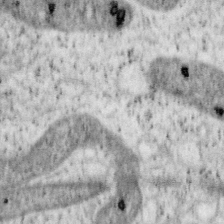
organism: Mouse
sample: OT-I killer T cells with ID8 ovarian cancer cells